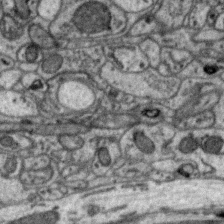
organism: Zebra finch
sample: Brain